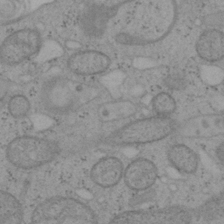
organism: Mouse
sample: OT-I killer T cells with ID8 ovarian cancer cells